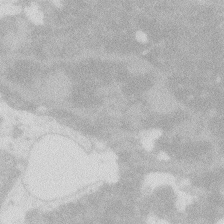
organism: Zebrafish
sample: Macrophage